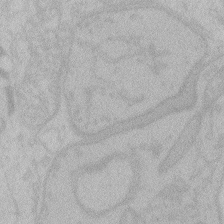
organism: Zebrafish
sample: Macrophage infected with Toxoplasma gondii